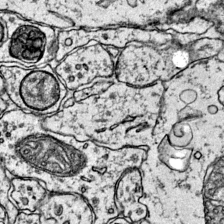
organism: Mouse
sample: Primary visual cortex